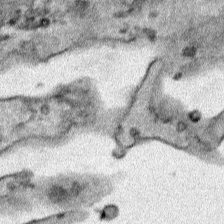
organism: Human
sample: Mitochondria in HCT116 cells